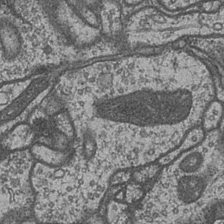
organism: Drosophila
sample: Optic medulla